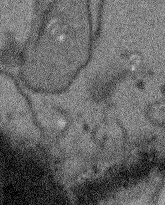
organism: Arabidopsis thaliana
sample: Root tip